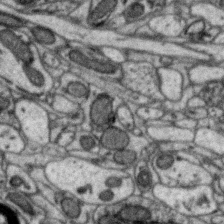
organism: Zebra finch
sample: Brain